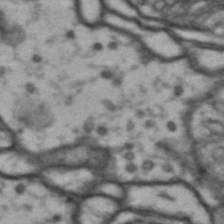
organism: Drosophila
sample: Brain